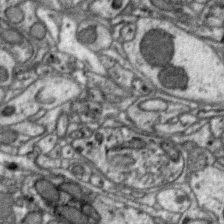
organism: Zebra finch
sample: Brain